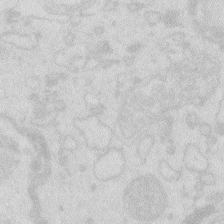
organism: Zebrafish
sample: Macrophage